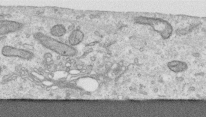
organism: Human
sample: Centriole in RPE cells